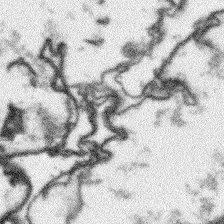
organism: Arabidopsis thaliana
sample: Root tip